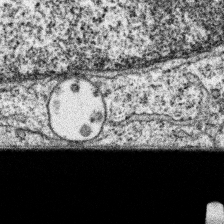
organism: Human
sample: HeLa cells